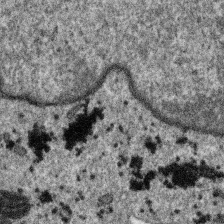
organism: Human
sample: Lung epithelial cells infected with SARS-CoV-2